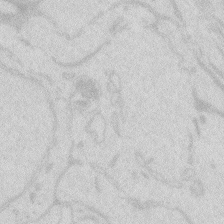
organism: Zebrafish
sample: Macrophage